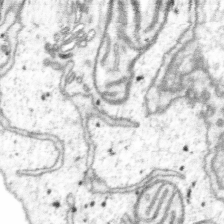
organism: Human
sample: HeLa cells